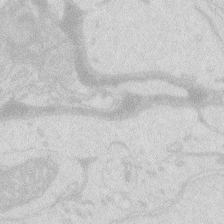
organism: Zebrafish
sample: Macrophage